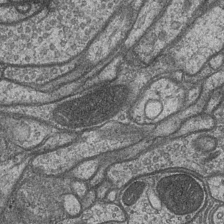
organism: Drosophila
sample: Optic medulla